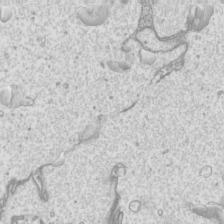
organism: Mouse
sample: Cilia; mouse epididymis